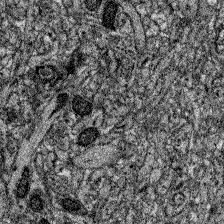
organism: Zebrafish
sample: Larval olfactory bulb